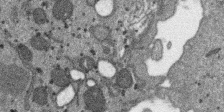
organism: Human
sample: Lung epithelial cells infected with SARS-CoV-2